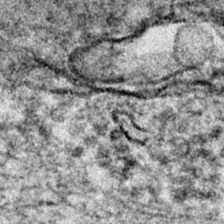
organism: Zebrafish